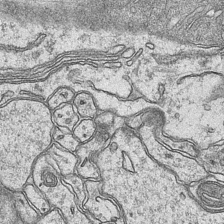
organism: Mouse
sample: CA1 Hippocampus